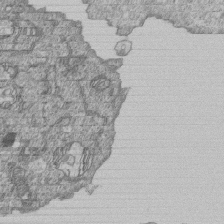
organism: Human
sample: MDA-MB-231 cells